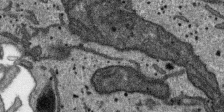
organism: Human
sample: Lung epithelial cells, uninfected (mock) control